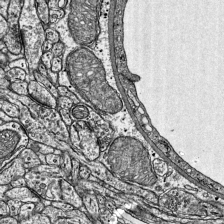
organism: Mouse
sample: Visual Cortex